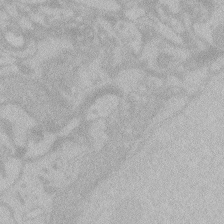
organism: Zebrafish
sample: Macrophage infected with Toxoplasma gondii